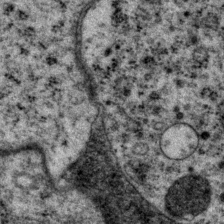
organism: P. pacificus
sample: Pharynx